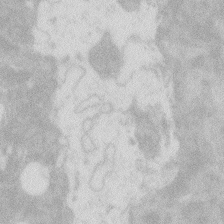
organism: Zebrafish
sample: Macrophage